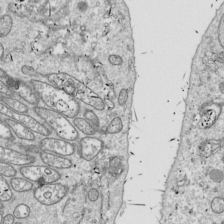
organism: Drosophila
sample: Cell division; meiosis; drosophila spermatocytes